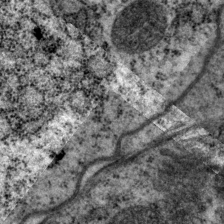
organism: P. pacificus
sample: Pharynx